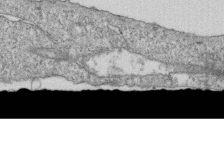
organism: Human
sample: HeLa cell HIV synapse